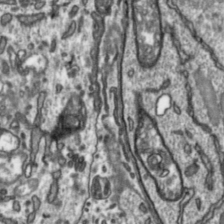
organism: Toxoplasma gondii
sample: Parasites in a vacuole inside a host cell